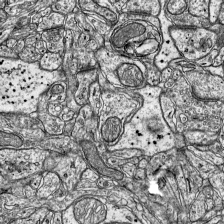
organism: Mouse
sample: Visual Cortex